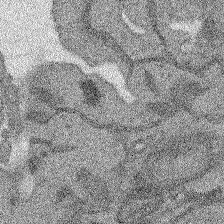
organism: Human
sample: HeLa cells